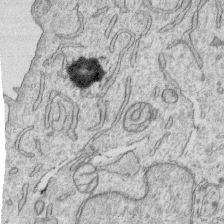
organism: Human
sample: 1205lu cells